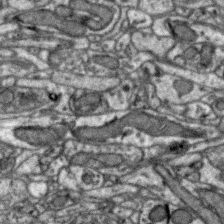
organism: Zebra finch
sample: Brain